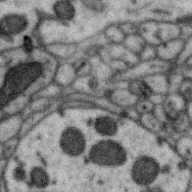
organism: Zebra finch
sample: Brain